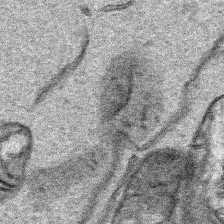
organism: Human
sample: Mitochondria in HCT116 cells